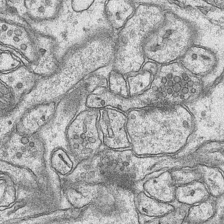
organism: Mouse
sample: CA1 Hippocampus